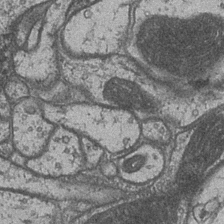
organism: Drosophila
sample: Optic medulla